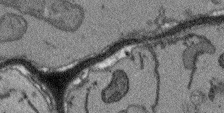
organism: Arabidopsis thaliana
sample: Root tip